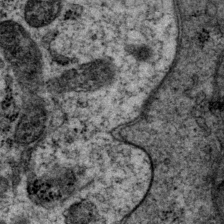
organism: P. pacificus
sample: Pharynx